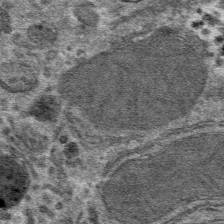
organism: Mouse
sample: Mouse hepatocytes